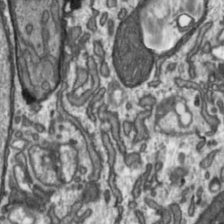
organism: Toxoplasma gondii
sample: Parasites in a vacuole inside a host cell